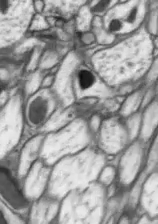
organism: Drosophila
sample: Optic lobe